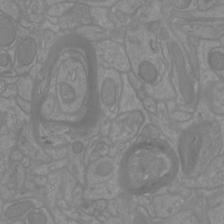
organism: Mouse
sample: Cortical neurons